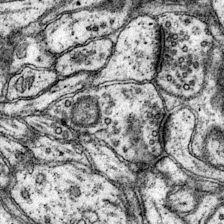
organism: Mouse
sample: Primary visual cortex